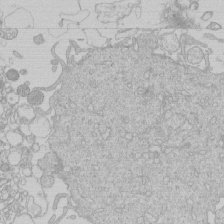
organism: Human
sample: Macrophage cells